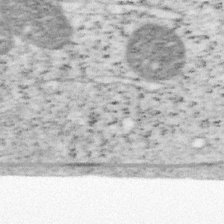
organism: Mouse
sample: OT-I killer T cells with ID8 ovarian cancer cells